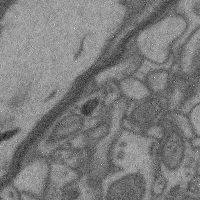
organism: Mouse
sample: Cerebral cortex